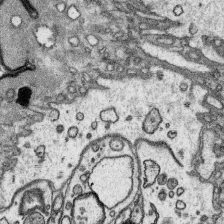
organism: Platynereis dumerilii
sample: Parapodia